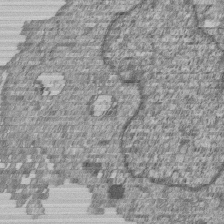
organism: Human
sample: MDA-MB-231 cells